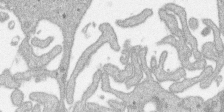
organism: Human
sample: Lung epithelial cells infected with SARS-CoV-2